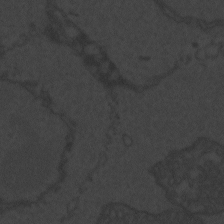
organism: Zebrafish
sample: Macrophage infected with Toxoplasma gondii